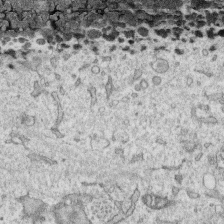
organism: Human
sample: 1205lu cells